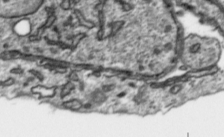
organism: Toxoplasma gondii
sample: Parasites in a vacuole inside a host cell